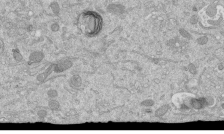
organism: Mouse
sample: ED-1 cell nuclei; centrioles